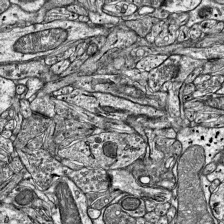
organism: Mouse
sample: Visual Cortex